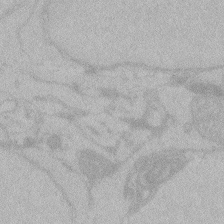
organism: Zebrafish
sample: Macrophage infected with Toxoplasma gondii